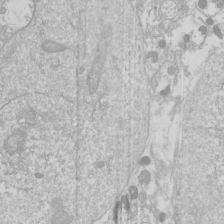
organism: Drosophila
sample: Cell division; meiosis; drosophila spermatocytes